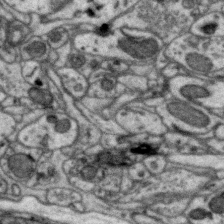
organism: Zebra finch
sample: Brain